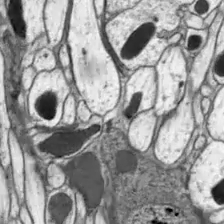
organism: Drosophila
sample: Optic lobe